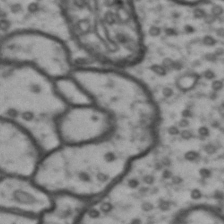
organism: Drosophila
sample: Brain